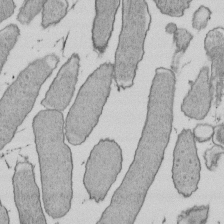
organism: E. coli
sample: Bacterial nucleoid